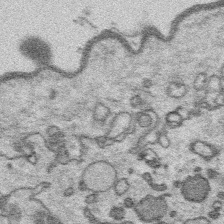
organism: Platynereis dumerilii